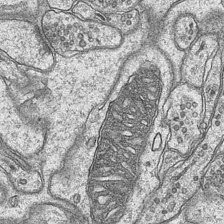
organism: Mouse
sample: CA1 Hippocampus